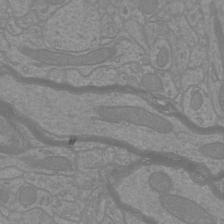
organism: Mouse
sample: Cortical neurons